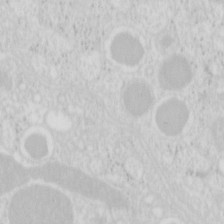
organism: Mouse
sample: Pancreas